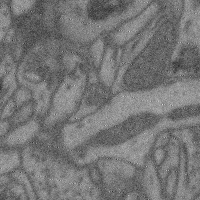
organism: Mouse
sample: Cerebral cortex